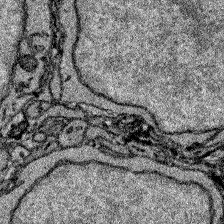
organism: Zebrafish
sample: Larval olfactory bulb